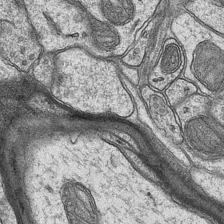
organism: Mouse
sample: CA1 Hippocampus